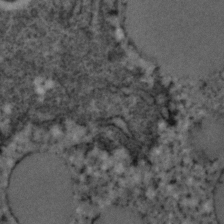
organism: C. elegans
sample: C. elegans embryo